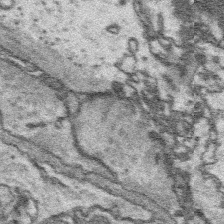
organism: Platynereis dumerilii